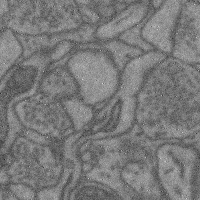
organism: Mouse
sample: Cerebral cortex